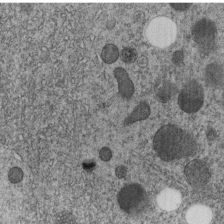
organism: C. elegans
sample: C. elegans embryo early stage